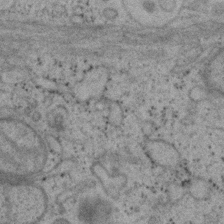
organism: Human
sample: HeLa cells